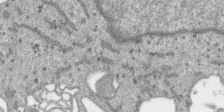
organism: Human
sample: Lung epithelial cells infected with SARS-CoV-2